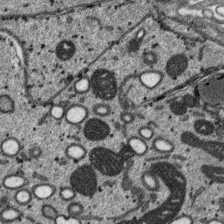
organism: Human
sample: Lung epithelial cells infected with SARS-CoV-2